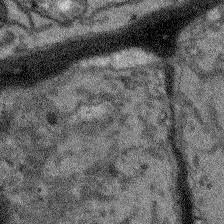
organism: Arabidopsis thaliana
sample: Root tip